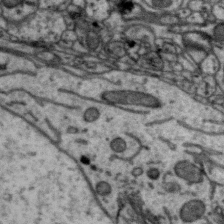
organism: Zebra finch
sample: Brain